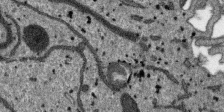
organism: Human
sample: Lung epithelial cells, uninfected (mock) control